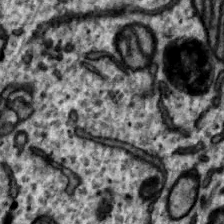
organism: Human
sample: HeLa cells